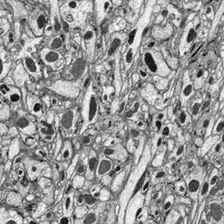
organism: Drosophila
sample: Optic lobe